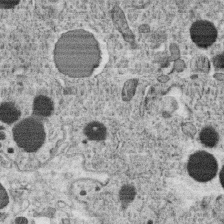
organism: C. elegans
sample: C. elegans oocyte; sperm cells